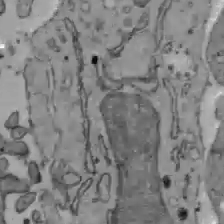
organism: C57BL Mouse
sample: Liver